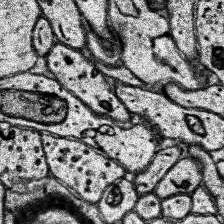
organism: Human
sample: Temporal Lobe